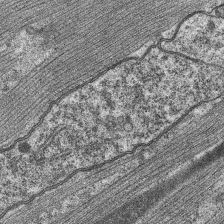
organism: C. elegans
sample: Pharynx